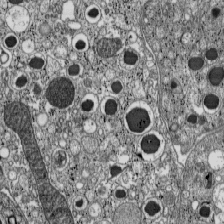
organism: C57BL Mouse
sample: Pancreatic islet